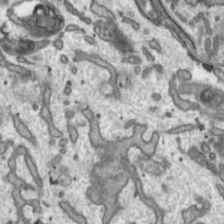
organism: Toxoplasma gondii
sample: Parasites in a vacuole inside a host cell